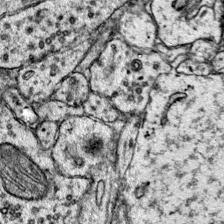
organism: Mouse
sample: Primary visual cortex